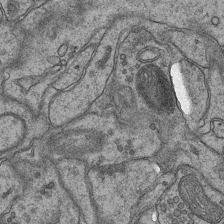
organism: Mouse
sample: CA1 Hippocampus